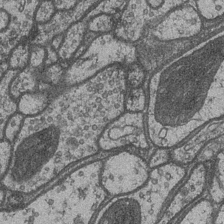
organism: Drosophila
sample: Optic medulla